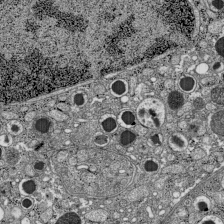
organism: C57BL Mouse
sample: Pancreatic islet